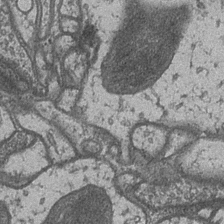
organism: Drosophila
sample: Optic medulla